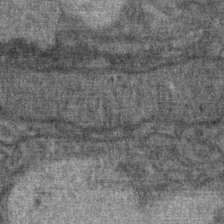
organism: Mouse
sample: Mouse Salivary gland